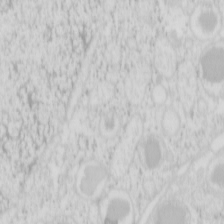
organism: Mouse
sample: Pancreas